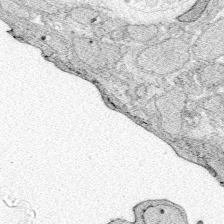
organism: Zebrafish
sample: Whole-Brain